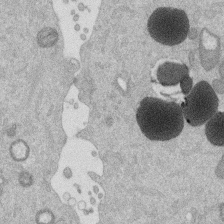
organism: Mouse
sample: Dividing mouse embryo 1 cell stage